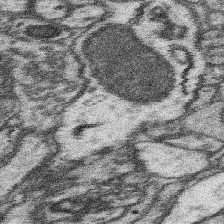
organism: Mouse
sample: Somatosensory cortex neuropil